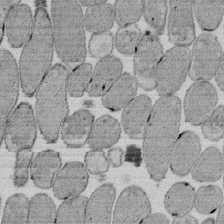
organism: E. coli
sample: Bacterial nucleoid